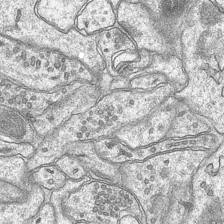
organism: Mouse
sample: CA1 Hippocampus